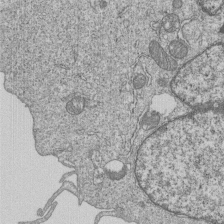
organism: Human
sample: MDA-MB-231 cells